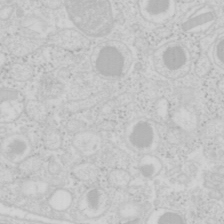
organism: Mouse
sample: Pancreas